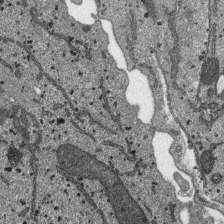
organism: Human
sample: Lung epithelial cells infected with SARS-CoV-2